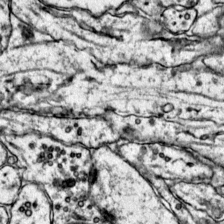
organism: Mouse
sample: Primary visual cortex